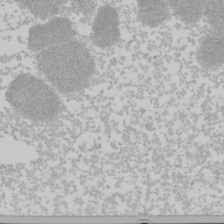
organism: Mouse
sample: Cancer cell death in ED-1 cells